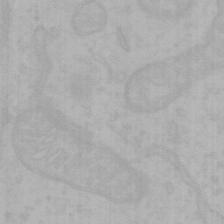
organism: Mouse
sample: Choroid plexus